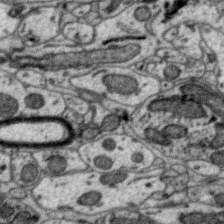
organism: Zebra finch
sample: Brain